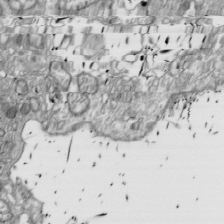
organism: Drosophila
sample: Cell division; meiosis; drosophila spermatocytes